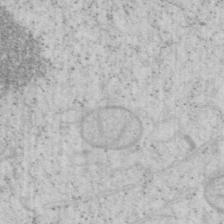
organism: Human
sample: HeLa cells